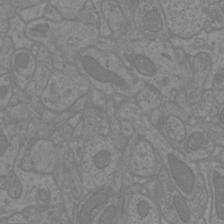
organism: Mouse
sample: Cortical neurons